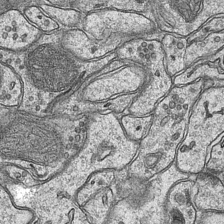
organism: Mouse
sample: CA1 Hippocampus